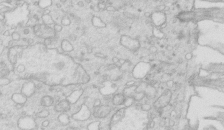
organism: Mouse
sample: Multiciliated cells